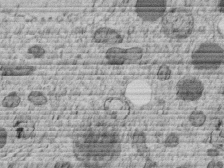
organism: C. elegans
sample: C. elegans embryo early stage